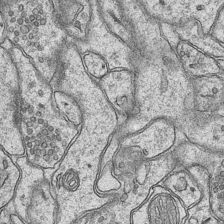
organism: Mouse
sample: CA1 Hippocampus